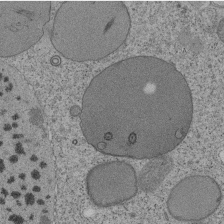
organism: Tetrahymena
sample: Cilia in tetrahymena